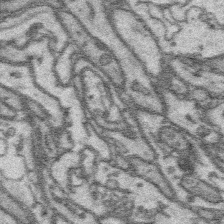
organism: Platynereis dumerilii